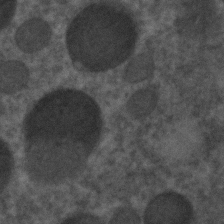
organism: C. elegans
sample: C. elegans embryo